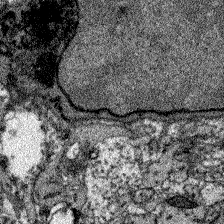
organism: Zebrafish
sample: Larval olfactory bulb